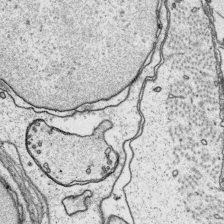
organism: Platynereis dumerilii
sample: Parapodia